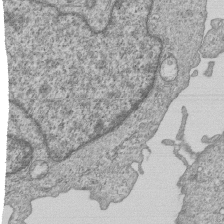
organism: Human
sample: MDA-MB-231 cells